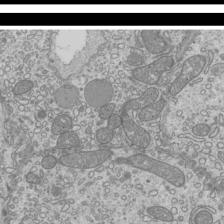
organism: Mouse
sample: Cilia; mouse epididymis